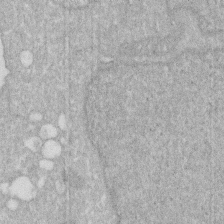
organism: Human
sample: HIV infected U937 cells